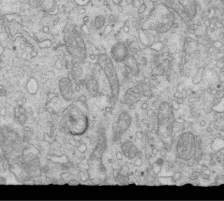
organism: Mouse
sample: Multiciliated cells